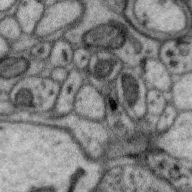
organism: Zebra finch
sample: Brain